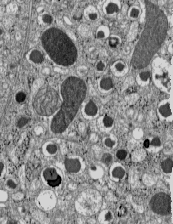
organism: C57BL Mouse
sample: Pancreatic islet